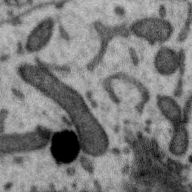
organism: Zebra finch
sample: Brain